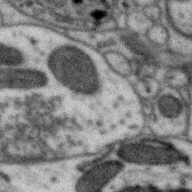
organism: Zebra finch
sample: Brain